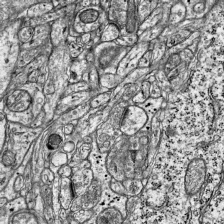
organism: Mouse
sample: Visual Cortex